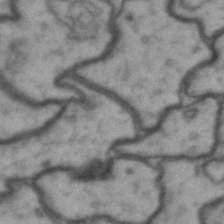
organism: Drosophila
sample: Brain